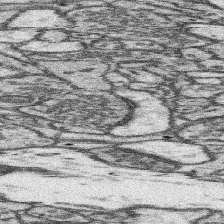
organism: Mouse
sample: Somatosensory cortex neuropil